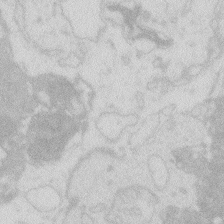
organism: Zebrafish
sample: Macrophage